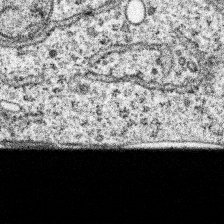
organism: Human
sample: HeLa cells